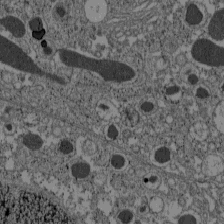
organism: C57BL Mouse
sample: Pancreatic islet